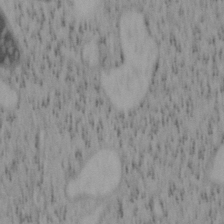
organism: Mouse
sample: OT-I killer T cells with ID8 ovarian cancer cells